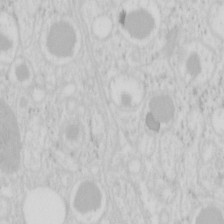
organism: Mouse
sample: Pancreas